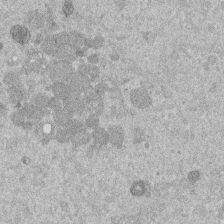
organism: Mouse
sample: Dividing mouse embryo 1 cell stage